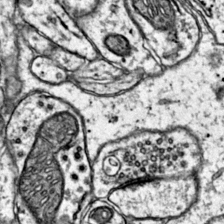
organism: Mouse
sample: Primary visual cortex